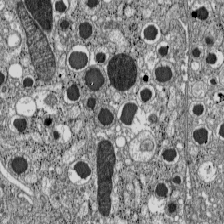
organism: C57BL Mouse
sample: Pancreatic islet